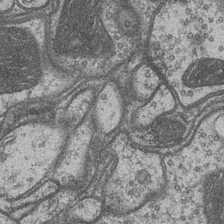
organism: Drosophila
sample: Optic medulla